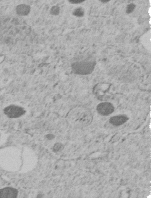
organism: C. elegans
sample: C. elegans embryo early stage